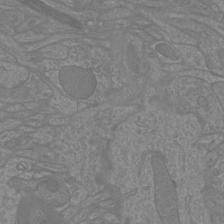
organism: Mouse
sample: Cortical neurons